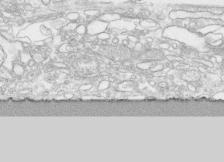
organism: Human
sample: CRL-1474